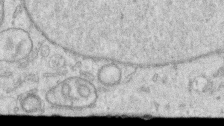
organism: Human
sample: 1205lu cells